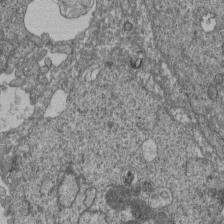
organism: Human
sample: Retinal organoid Rod and Cone cells